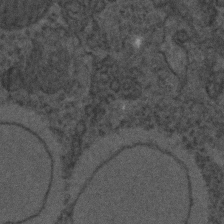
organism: C. elegans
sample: C. elegans embryo